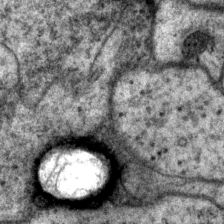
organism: P. pacificus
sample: Pharynx